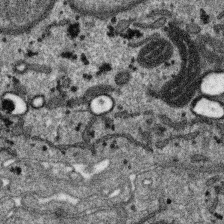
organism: Human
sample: Lung epithelial cells infected with SARS-CoV-2